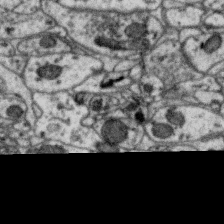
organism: Zebra finch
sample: Brain